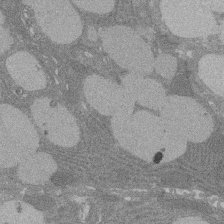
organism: Rat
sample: Salivary granule